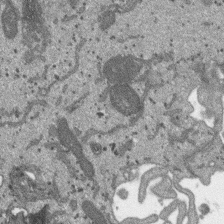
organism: Human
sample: Lung epithelial cells infected with SARS-CoV-2